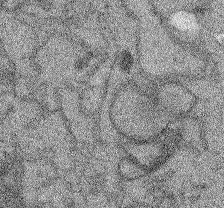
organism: Human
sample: HeLa cells